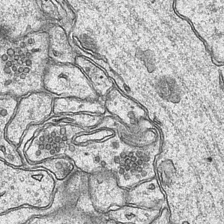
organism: Mouse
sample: CA1 Hippocampus